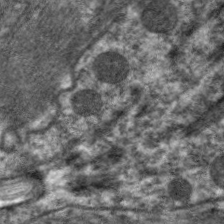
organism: C. elegans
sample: Pharynx